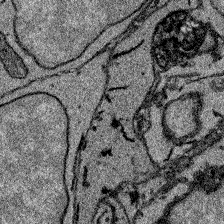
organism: Zebrafish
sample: Larval olfactory bulb